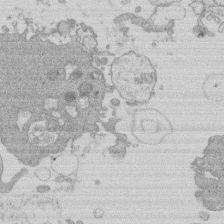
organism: Human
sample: Macrophage cells